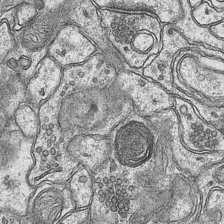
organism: Mouse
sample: CA1 Hippocampus